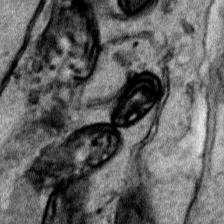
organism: Human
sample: Mitochondria in HCT116 cells